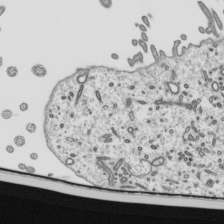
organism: Mouse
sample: Mouse epididymis efferent ductule cilia